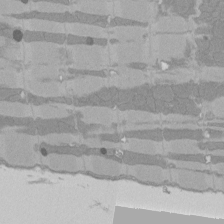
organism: Rat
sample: Left ventricle